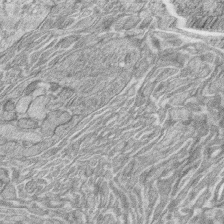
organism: Zebrafish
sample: synaptic ribbons in rod cells and cone cells